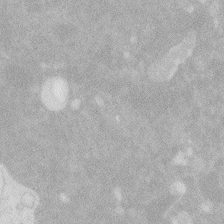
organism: Zebrafish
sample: Macrophage